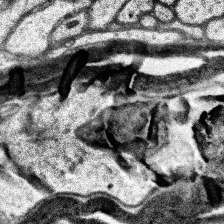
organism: Human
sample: Temporal Lobe